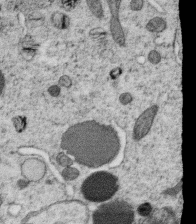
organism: C. elegans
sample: C. elegans oocyte; sperm cells